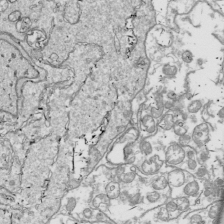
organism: Drosophila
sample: Cell division; meiosis; drosophila spermatocytes